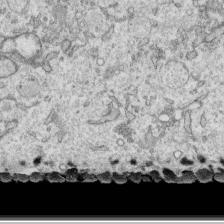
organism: Human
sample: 1205lu cells